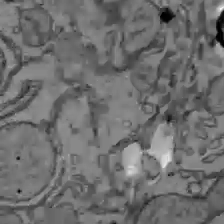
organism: C57BL Mouse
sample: Liver